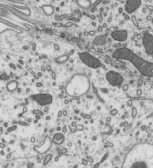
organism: Mouse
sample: Mouse epididymis efferent ductule cilia